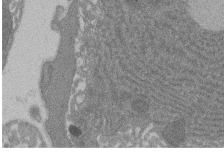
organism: Rat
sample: Salivary granule